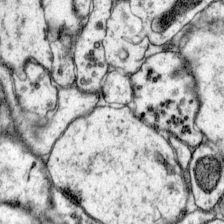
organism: Mouse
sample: Primary visual cortex